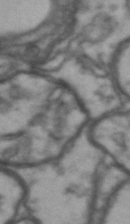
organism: Drosophila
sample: Brain